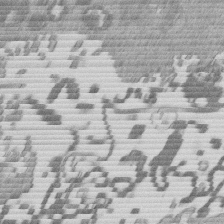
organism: Mouse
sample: Dividing mouse embryo 1 cell stage